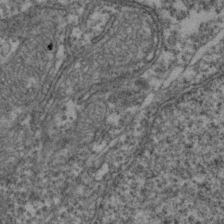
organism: Zebrafish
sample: Zebrafish embryo